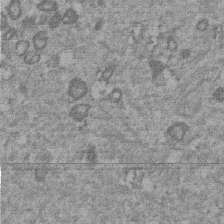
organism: Mouse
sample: Dividing mouse embryo 1 cell stage